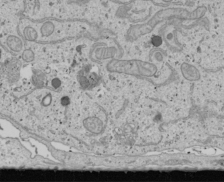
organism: Human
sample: Mitochondria in U2OS cells